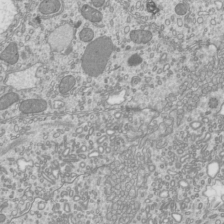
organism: Mouse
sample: Cilia; mouse epididymis